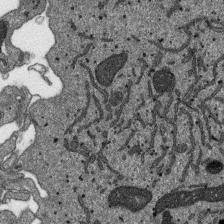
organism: Human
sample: Lung epithelial cells infected with SARS-CoV-2